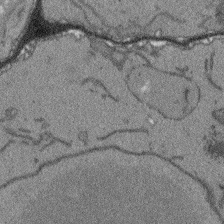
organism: Arabidopsis thaliana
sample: Root tip